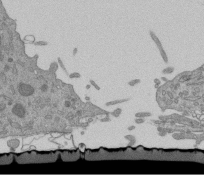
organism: Mouse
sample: ED-1 cell nuclei; centrioles